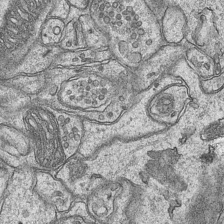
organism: Mouse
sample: CA1 Hippocampus